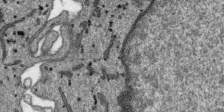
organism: Human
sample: Lung epithelial cells, uninfected (mock) control